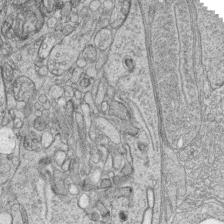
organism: Zebrafish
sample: synaptic ribbons in rod cells and cone cells